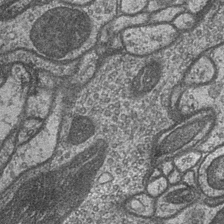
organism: Drosophila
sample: Optic medulla